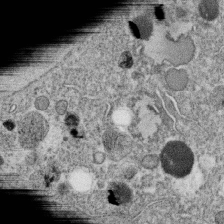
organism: C. elegans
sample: C. elegans oocyte; sperm cells